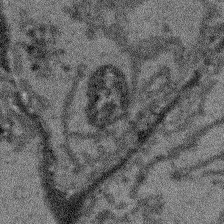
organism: Arabidopsis thaliana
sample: Root tip